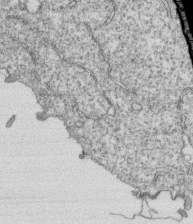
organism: Human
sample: HeLa cell HIV synapse